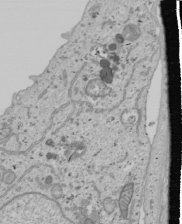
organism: Human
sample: Mitochondria in U2OS cells